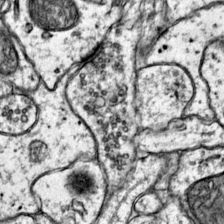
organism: Mouse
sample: Primary visual cortex